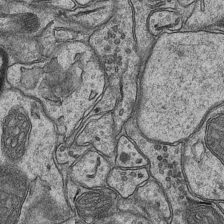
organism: Mouse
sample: CA1 Hippocampus